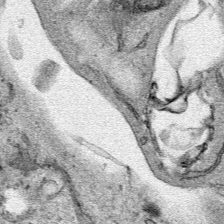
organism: Human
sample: Mitochondria in HCT116 cells